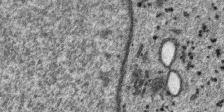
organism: Human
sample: Lung epithelial cells infected with SARS-CoV-2